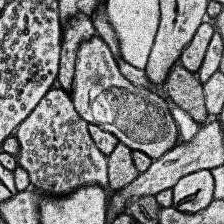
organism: Human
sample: Temporal Lobe